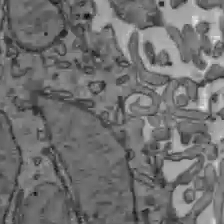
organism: C57BL Mouse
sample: Liver